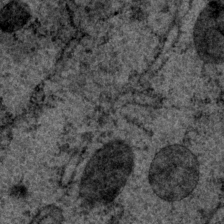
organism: P. pacificus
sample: Pharynx